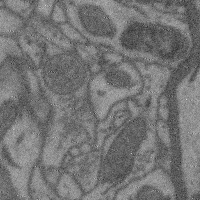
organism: Mouse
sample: Cerebral cortex